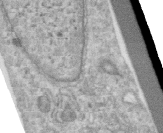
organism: Human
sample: Centriole in RPE cells